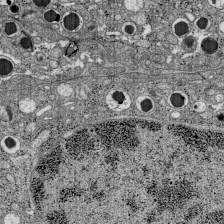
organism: C57BL Mouse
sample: Pancreatic islet